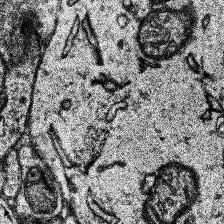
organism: Human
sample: Temporal Lobe